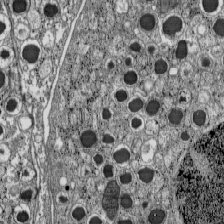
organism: C57BL Mouse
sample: Pancreatic islet